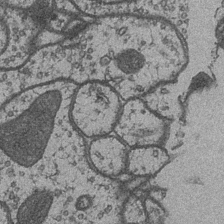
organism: Drosophila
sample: Optic medulla